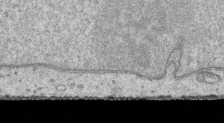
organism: Human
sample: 1205lu cells